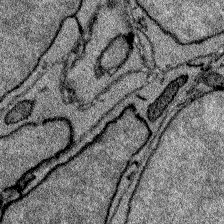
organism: Zebrafish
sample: Larval olfactory bulb